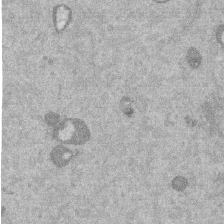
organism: Mouse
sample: Dividing mouse embryo 1 cell stage